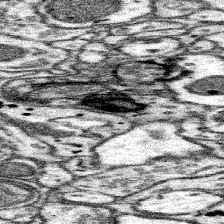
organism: Mouse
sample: Somatosensory cortex neuropil